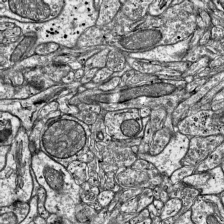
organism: Mouse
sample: Visual Cortex